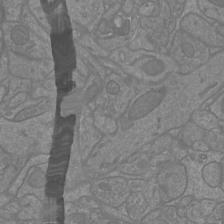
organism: Mouse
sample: Cortical neurons